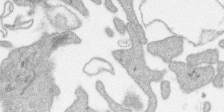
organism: Human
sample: Lung epithelial cells infected with SARS-CoV-2